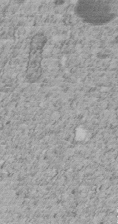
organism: C. elegans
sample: C. elegans embryo early stage